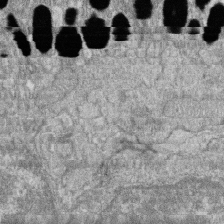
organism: Zebrafish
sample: Cilia; retinal pigment epithelium